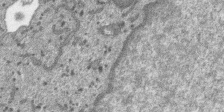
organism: Human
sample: Lung epithelial cells infected with SARS-CoV-2